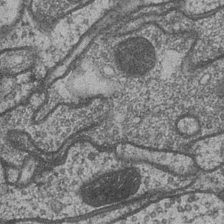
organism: Drosophila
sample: Optic medulla